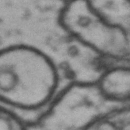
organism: Drosophila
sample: Brain